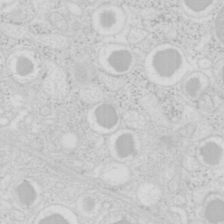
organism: Mouse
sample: Pancreas